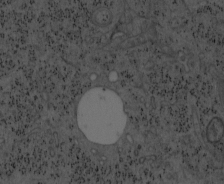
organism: Mouse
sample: OT-I killer T cells with ID8 ovarian cancer cells